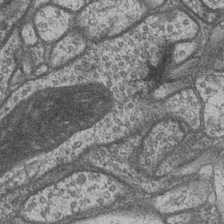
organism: Drosophila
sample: Optic medulla